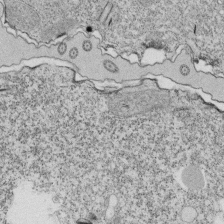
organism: Tetrahymena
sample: Cilia in tetrahymena